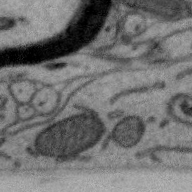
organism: Zebra finch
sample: Brain